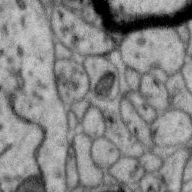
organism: Zebra finch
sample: Brain